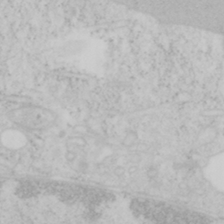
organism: Mouse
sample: OT-I killer T cells with ID8 ovarian cancer cells